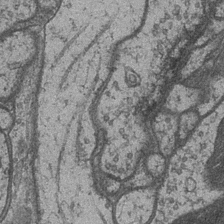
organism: Drosophila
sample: Optic medulla